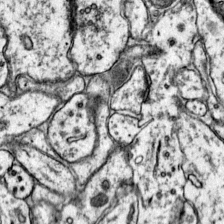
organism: Mouse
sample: Primary visual cortex